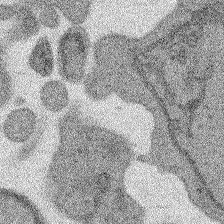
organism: Human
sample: HeLa cells